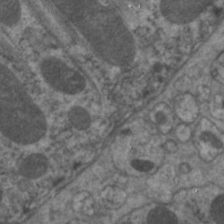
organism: C. elegans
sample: Pharynx